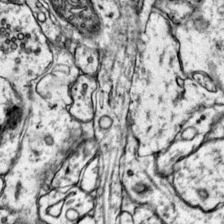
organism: Mouse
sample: Primary visual cortex